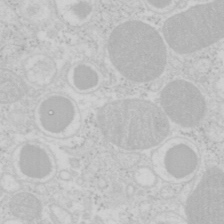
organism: Mouse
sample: Pancreas